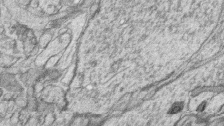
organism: Zebrafish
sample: synaptic ribbons in rod cells and cone cells